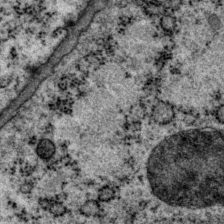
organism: P. pacificus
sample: Pharynx